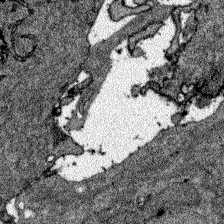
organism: Zebrafish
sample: Larval olfactory bulb